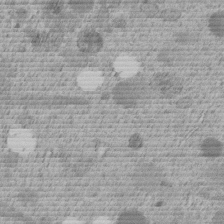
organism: C. elegans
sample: C. elegans embryo early stage